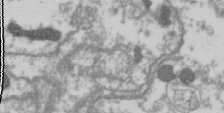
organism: Drosophila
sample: Cell division; meiosis; drosophila spermatocytes